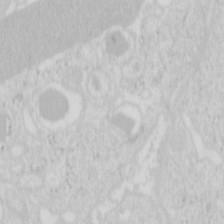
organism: Mouse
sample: Pancreas